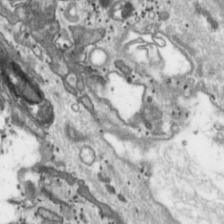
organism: Toxoplasma gondii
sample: Parasites in a vacuole inside a host cell